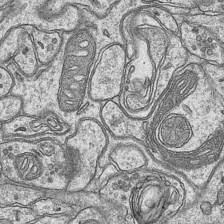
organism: Mouse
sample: CA1 Hippocampus